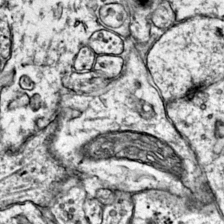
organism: Mouse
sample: Primary visual cortex